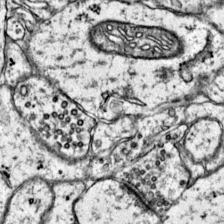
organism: Mouse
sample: Primary visual cortex